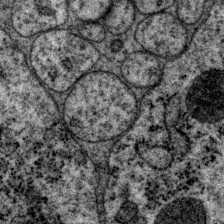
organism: P. pacificus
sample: Pharynx